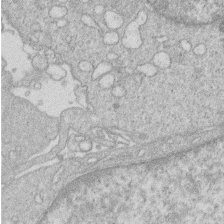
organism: Human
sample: Macrophage cells